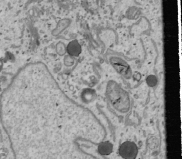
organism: Human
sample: Mitochondria in U2OS cells